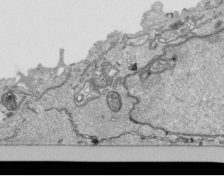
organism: Human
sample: Mitochondria in HCT116 cells